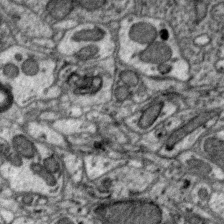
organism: Zebra finch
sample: Brain